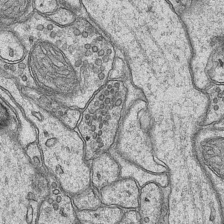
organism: Mouse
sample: CA1 Hippocampus